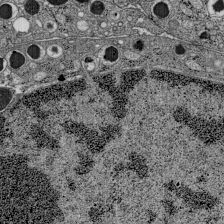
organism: C57BL Mouse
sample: Pancreatic islet